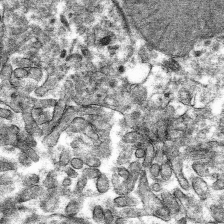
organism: Mouse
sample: Mouse hepatocytes